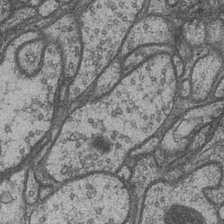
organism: Drosophila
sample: Optic medulla